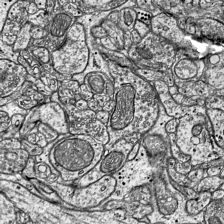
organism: Mouse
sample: Visual Cortex